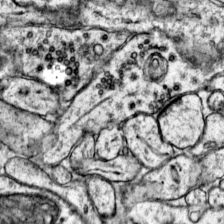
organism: Mouse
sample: Primary visual cortex